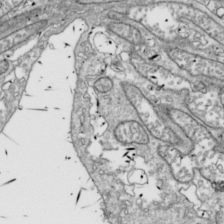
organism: Drosophila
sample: Cell division; meiosis; drosophila spermatocytes